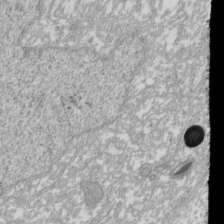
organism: Xenopus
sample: Cilia; centrioles in frog embryo cells